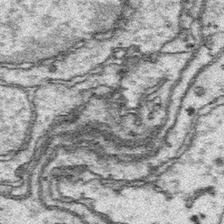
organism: Platynereis dumerilii